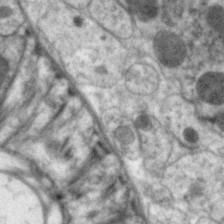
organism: C. elegans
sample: Pharynx